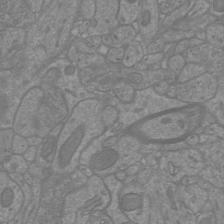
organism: Mouse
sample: Cortical neurons